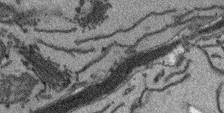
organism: Arabidopsis thaliana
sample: Root tip